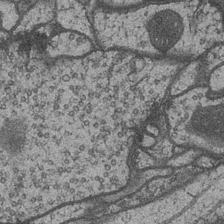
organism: Drosophila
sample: Optic medulla